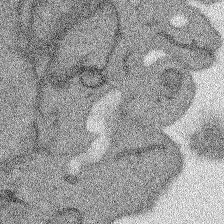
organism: Human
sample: HeLa cells